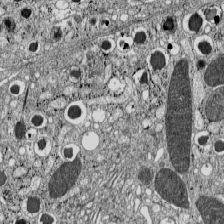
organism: C57BL Mouse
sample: Pancreatic islet